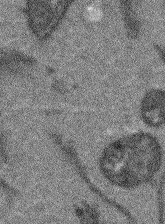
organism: Arabidopsis thaliana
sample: Root tip